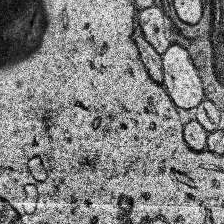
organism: Human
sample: Temporal Lobe